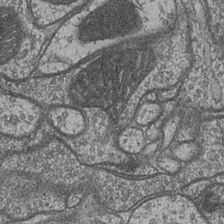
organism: Drosophila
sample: Optic medulla